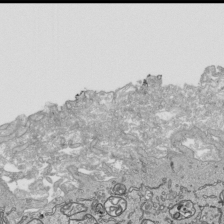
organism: Human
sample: Mitochondria in HCT116 cells